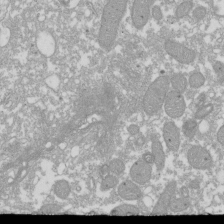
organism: Xenopus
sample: Cilia; centrioles in frog embryo cells